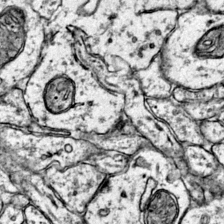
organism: Mouse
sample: Primary visual cortex